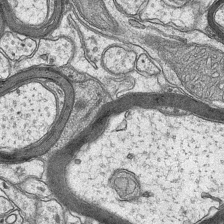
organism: Mouse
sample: CA1 Hippocampus